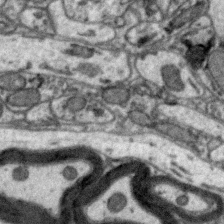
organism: Zebra finch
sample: Brain